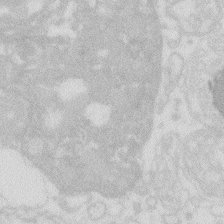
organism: Zebrafish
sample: Macrophage